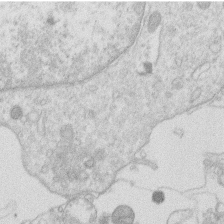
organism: Human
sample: Macrophage cells